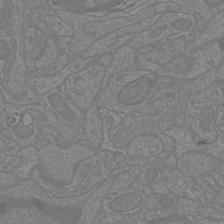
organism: Mouse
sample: Cortical neurons